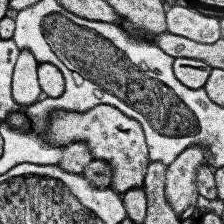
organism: Human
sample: Temporal Lobe